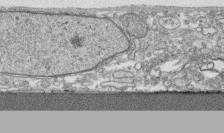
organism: Human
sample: CRL-1474